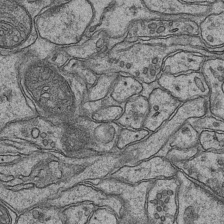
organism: Mouse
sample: CA1 Hippocampus